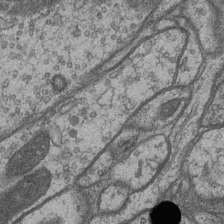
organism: Drosophila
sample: Optic medulla